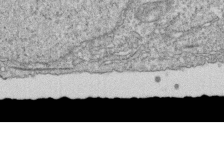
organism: Human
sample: HeLa cell HIV synapse